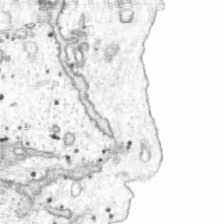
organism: Human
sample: HeLa cells